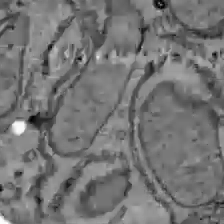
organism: C57BL Mouse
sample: Liver